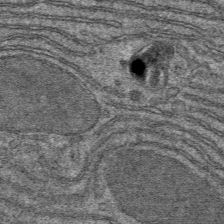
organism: Mouse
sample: Mouse hepatocytes